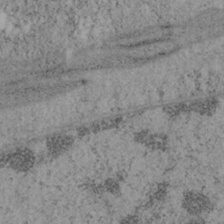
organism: Mouse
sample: OT-I killer T cells with ID8 ovarian cancer cells